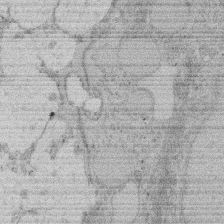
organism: Rat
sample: Salivary granule